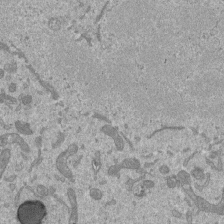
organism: Mouse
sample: ED-1 cell nuclei; centrioles